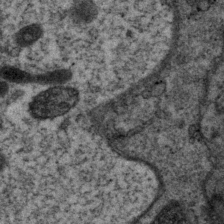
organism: P. pacificus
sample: Pharynx